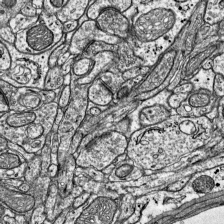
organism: Mouse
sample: Visual Cortex